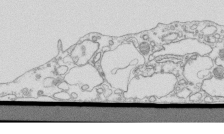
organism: Mouse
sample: Macrophages